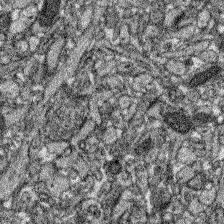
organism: Zebrafish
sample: Larval olfactory bulb